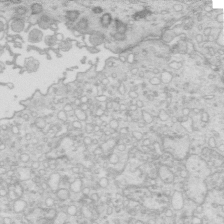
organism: Mouse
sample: Multiciliated cells